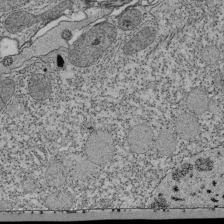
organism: Tetrahymena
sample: Cilia in tetrahymena